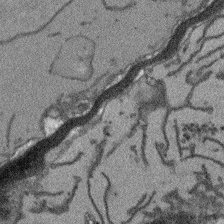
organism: Arabidopsis thaliana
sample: Root tip